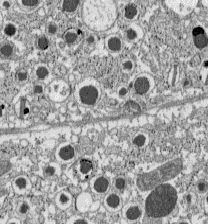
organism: C57BL Mouse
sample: Pancreatic islet